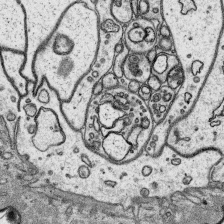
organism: Platynereis dumerilii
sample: Parapodia